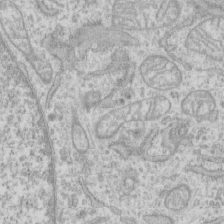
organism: Human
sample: CRL-1474